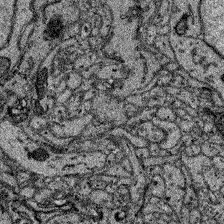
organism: Zebrafish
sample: Larval olfactory bulb